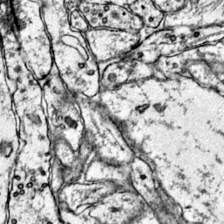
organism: Mouse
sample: Primary visual cortex